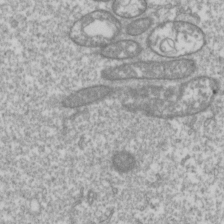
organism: Drosophila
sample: Cell division; meiosis; drosophila spermatocytes